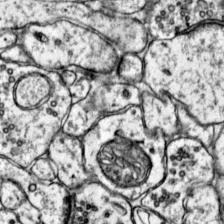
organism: Mouse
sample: Primary visual cortex